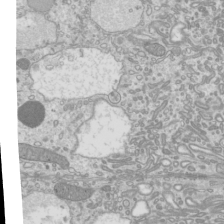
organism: Mouse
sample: Cilia; mouse epididymis